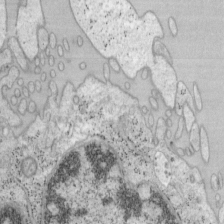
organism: Mouse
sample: OT-I killer T cells with ID8 ovarian cancer cells